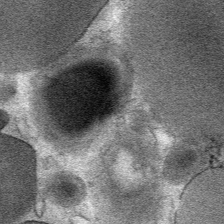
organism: Mouse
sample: Mouse Salivary gland